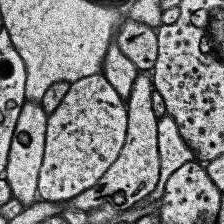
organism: Human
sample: Temporal Lobe